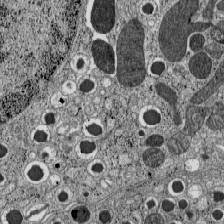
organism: C57BL Mouse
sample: Pancreatic islet